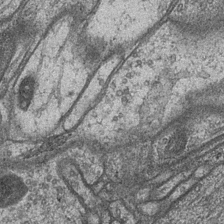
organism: Drosophila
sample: Optic medulla